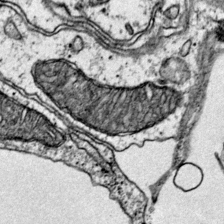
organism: Mouse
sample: Primary visual cortex